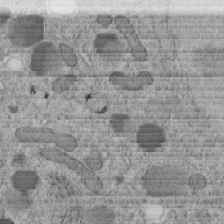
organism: C. elegans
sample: C. elegans embryo early stage